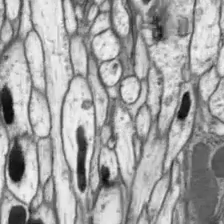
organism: Drosophila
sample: Optic lobe